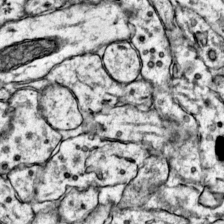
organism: Mouse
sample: Primary visual cortex